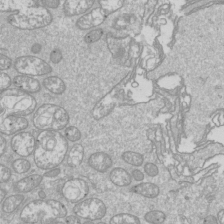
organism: Drosophila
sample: Cell division; meiosis; drosophila spermatocytes